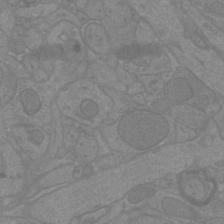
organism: Mouse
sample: Cortical neurons